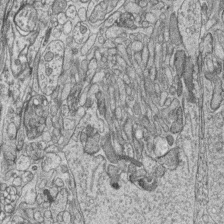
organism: Zebrafish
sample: synaptic ribbons in rod cells and cone cells